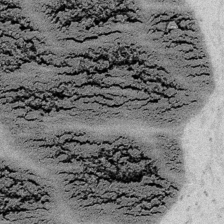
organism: Embia sp.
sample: Silk gland